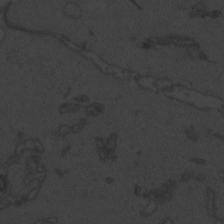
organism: Zebrafish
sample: Macrophage infected with Toxoplasma gondii